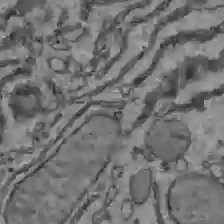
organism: C57BL Mouse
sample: Liver